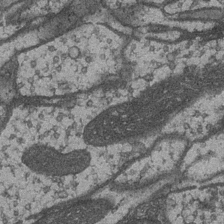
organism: Drosophila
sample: Optic medulla